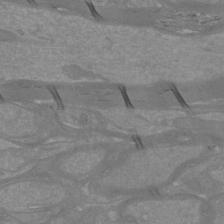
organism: Mouse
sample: Cortical neurons